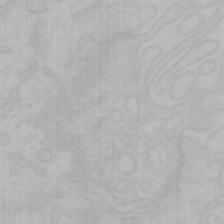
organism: Mouse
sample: Choroid plexus